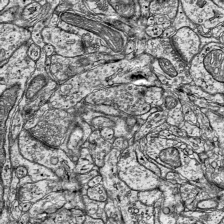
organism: Mouse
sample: Visual Cortex